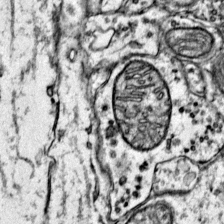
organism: Mouse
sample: Primary visual cortex